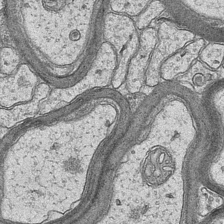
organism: Mouse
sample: CA1 Hippocampus